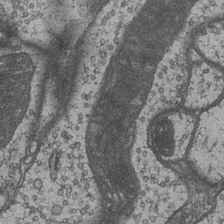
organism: Drosophila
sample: Optic medulla